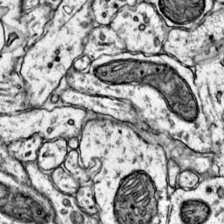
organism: Mouse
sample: Primary visual cortex